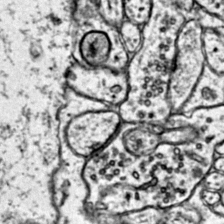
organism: Mouse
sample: Primary visual cortex